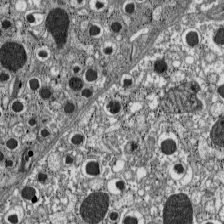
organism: C57BL Mouse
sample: Pancreatic islet